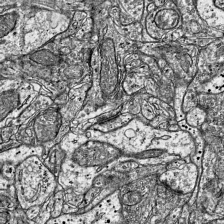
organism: Mouse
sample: Visual Cortex